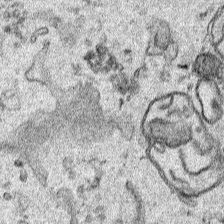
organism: Human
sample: Mitochondria in HCT116 cells